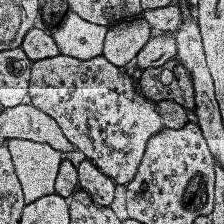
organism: Human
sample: Temporal Lobe